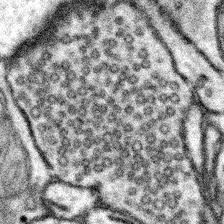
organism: Mouse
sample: Somatosensory cortex neuropil